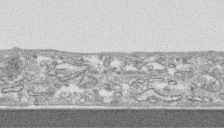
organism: Human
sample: CRL-1474